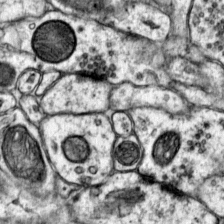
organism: Mouse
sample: Primary visual cortex